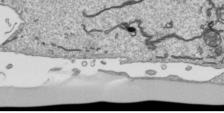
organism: Human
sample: Mitochondria in HCT116 cells